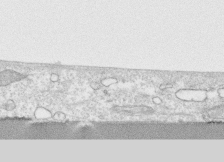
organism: Human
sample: CRL-1474